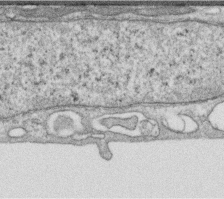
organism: Human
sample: Centriole in RPE cells